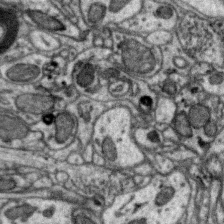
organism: Zebra finch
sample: Brain